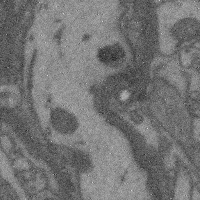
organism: Mouse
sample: Cerebral cortex